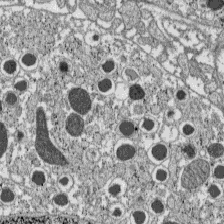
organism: C57BL Mouse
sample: Pancreatic islet